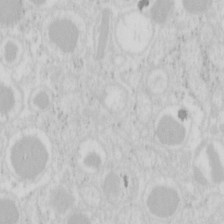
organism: Mouse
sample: Pancreas